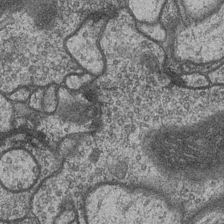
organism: Drosophila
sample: Optic medulla